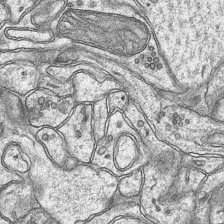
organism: Mouse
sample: CA1 Hippocampus